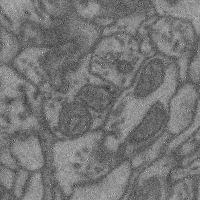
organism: Mouse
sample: Cerebral cortex